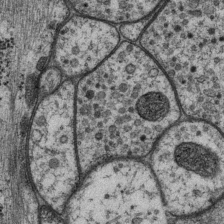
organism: P. pacificus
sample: Pharynx